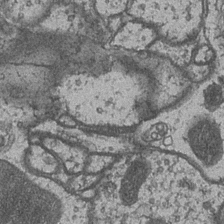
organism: Drosophila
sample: Optic medulla